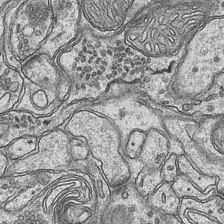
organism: Mouse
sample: CA1 Hippocampus